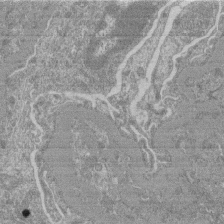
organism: Mouse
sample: Glomerulus